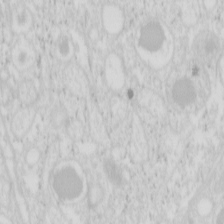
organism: Mouse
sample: Pancreas